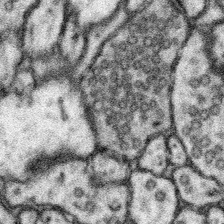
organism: Mouse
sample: Somatosensory cortex neuropil